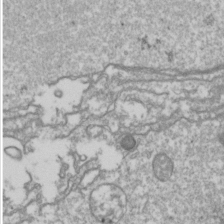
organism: Drosophila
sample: Cell division; meiosis; drosophila spermatocytes